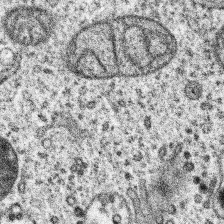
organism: Human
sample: HeLa cells